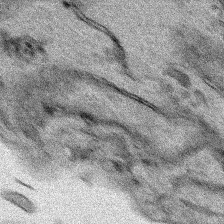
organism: Human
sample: Mitochondria in HCT116 cells